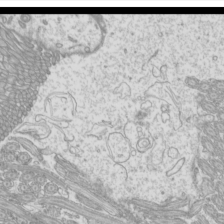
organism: Mouse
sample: Cilia; mouse epididymis